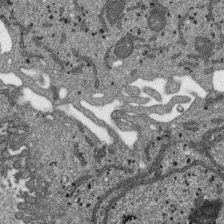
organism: Human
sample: Lung epithelial cells infected with SARS-CoV-2